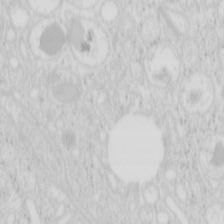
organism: Mouse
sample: Pancreas